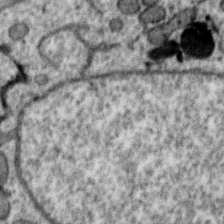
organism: Zebra finch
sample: Brain